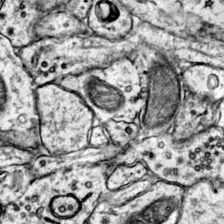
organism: Mouse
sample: Primary visual cortex